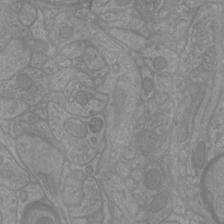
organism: Mouse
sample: Cortical neurons